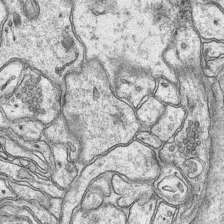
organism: Mouse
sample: CA1 Hippocampus